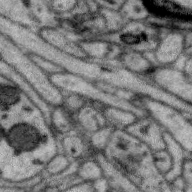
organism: Zebra finch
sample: Brain